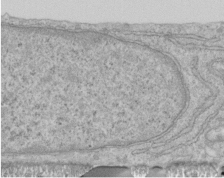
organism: Human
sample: Centriole in RPE cells